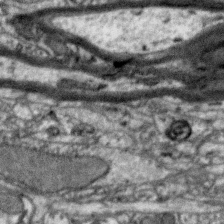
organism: Zebra finch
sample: Brain